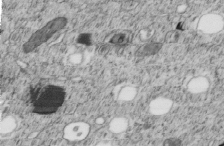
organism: C. elegans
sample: C. elegans embryo early stage